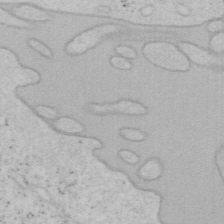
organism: Human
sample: HeLa cells